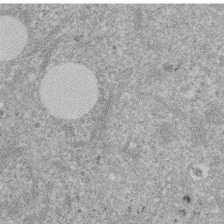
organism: Mouse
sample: Dividing mouse embryo 1 cell stage